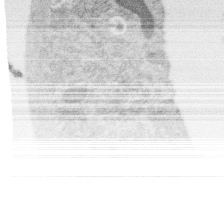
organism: C. elegans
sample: C. elegans oocyte; sperm cells